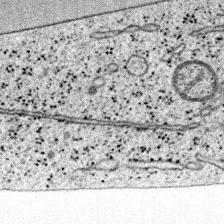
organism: Human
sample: HeLa cells